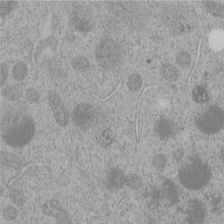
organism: C. elegans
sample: C. elegans embryo early stage